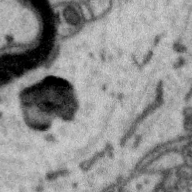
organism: Zebra finch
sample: Brain